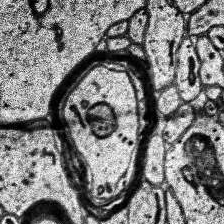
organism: Human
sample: Temporal Lobe